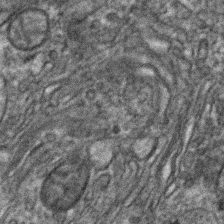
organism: Human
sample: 1205lu cells